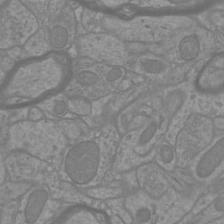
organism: Mouse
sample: Cortical neurons